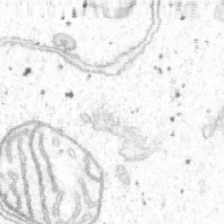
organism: Human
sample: HeLa cells